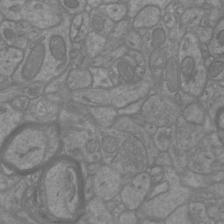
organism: Mouse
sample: Cortical neurons